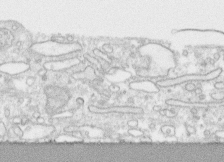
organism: Human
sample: CRL-1474